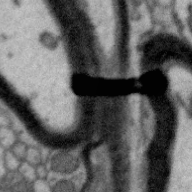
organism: Zebra finch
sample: Brain